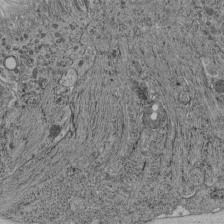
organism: C. elegans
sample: C. elegans pharynx